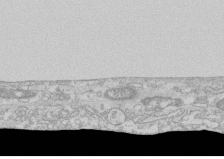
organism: Human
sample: CRL-1474